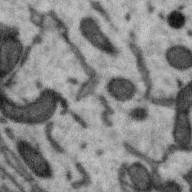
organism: Zebra finch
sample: Brain